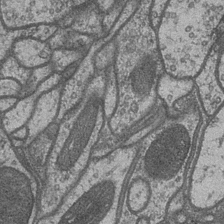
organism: Drosophila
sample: Optic medulla